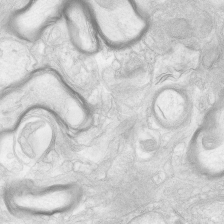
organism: Human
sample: Neocortex